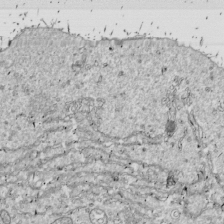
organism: Drosophila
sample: Cell division; meiosis; drosophila spermatocytes